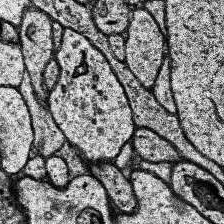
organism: Human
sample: Temporal Lobe